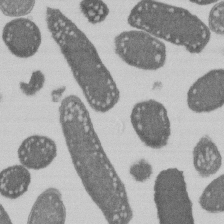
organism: E. coli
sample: Bacterial nucleoid